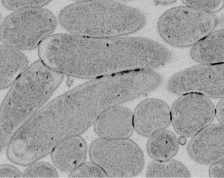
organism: E. coli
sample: Bacterial nucleoid